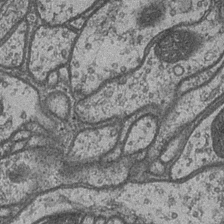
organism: Drosophila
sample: Optic medulla